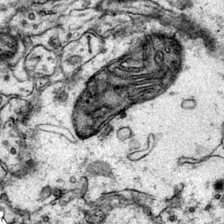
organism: Mouse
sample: Primary visual cortex